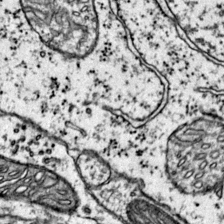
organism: Mouse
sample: Primary visual cortex